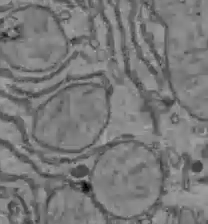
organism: C57BL Mouse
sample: Liver